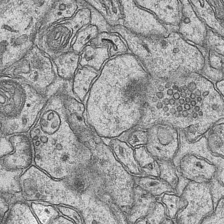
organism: Mouse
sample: CA1 Hippocampus